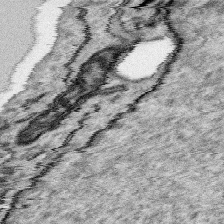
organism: Human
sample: HeLa cells